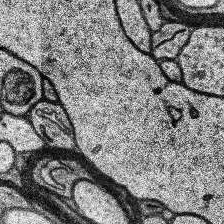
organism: Human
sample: Temporal Lobe